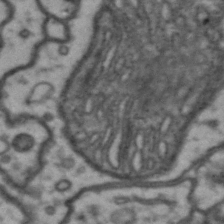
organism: Drosophila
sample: Brain